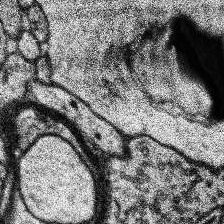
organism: Human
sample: Temporal Lobe